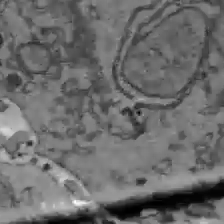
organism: C57BL Mouse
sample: Liver